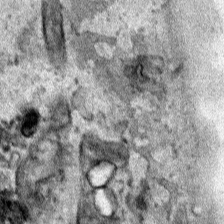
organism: Human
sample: Mitochondria in HCT116 cells